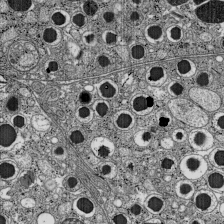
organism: C57BL Mouse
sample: Pancreatic islet